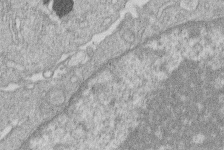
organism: Human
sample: Macrophage cells